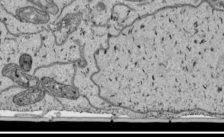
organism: Human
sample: Mitochondria in HCT116 cells